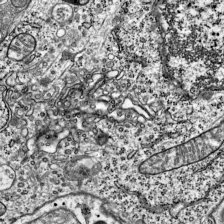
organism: Mouse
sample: Visual Cortex